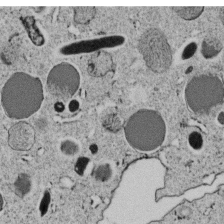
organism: C. elegans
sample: C. elegans embryo early stage